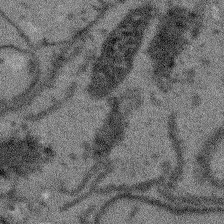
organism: Arabidopsis thaliana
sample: Root tip